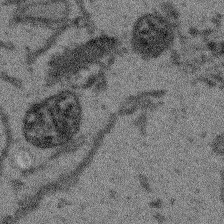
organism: Arabidopsis thaliana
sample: Root tip